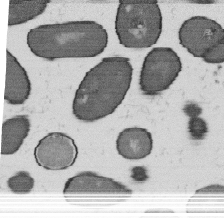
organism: B. subtilis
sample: Bacterial spore